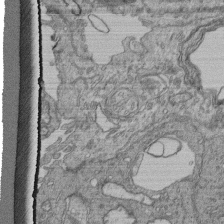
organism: Human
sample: Retinal organoid Rod and Cone cells